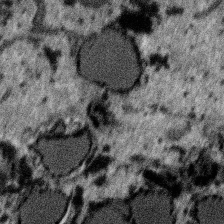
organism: Human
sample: Lung epithelial cells infected with SARS-CoV-2